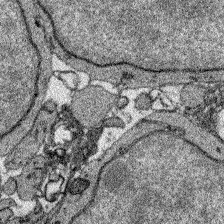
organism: Zebrafish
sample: Larval olfactory bulb